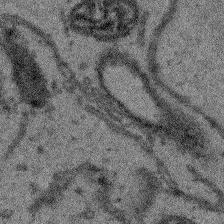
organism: Arabidopsis thaliana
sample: Root tip